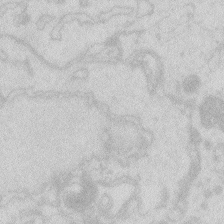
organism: Zebrafish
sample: Macrophage